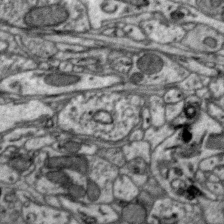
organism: Zebra finch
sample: Brain